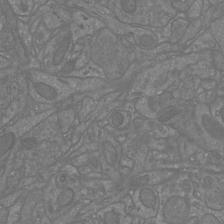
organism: Mouse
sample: Cortical neurons